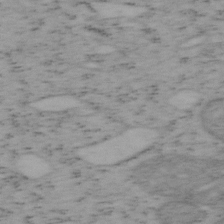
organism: Mouse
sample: OT-I killer T cells with ID8 ovarian cancer cells